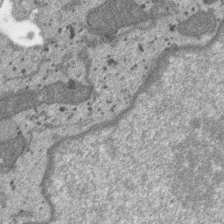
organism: Human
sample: Lung epithelial cells infected with SARS-CoV-2